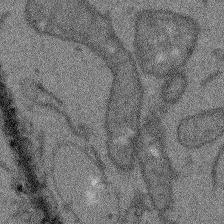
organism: Arabidopsis thaliana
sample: Root tip